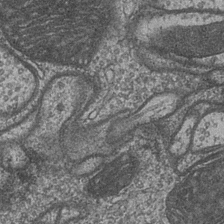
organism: Drosophila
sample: Optic medulla